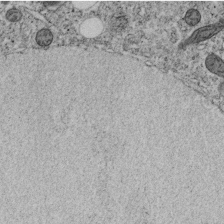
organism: C. elegans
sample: C. elegans embryo early stage